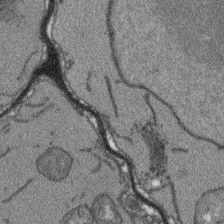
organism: Arabidopsis thaliana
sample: Root tip